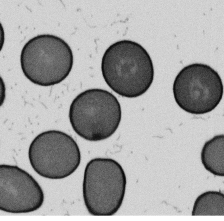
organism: B. subtilis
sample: Bacterial spore